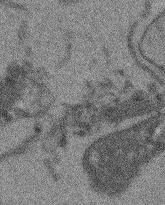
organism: Arabidopsis thaliana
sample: Root tip